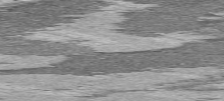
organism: C57BL Mouse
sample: Heart